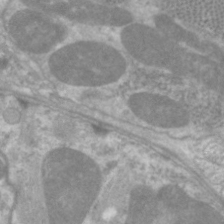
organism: C. elegans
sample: Pharynx